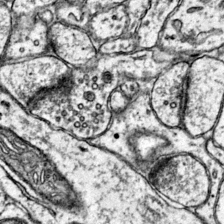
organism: Mouse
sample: Primary visual cortex